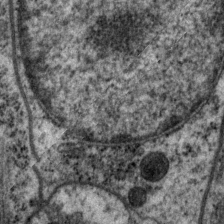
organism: P. pacificus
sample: Pharynx